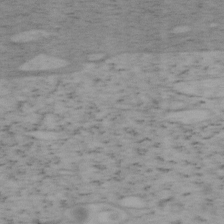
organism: Mouse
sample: OT-I killer T cells with ID8 ovarian cancer cells